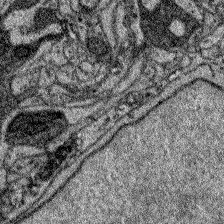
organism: Zebrafish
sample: Larval olfactory bulb